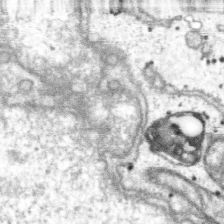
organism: Human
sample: HeLa cells